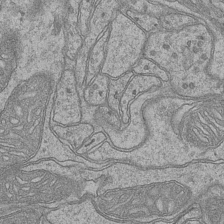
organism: Mouse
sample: CA1 Hippocampus